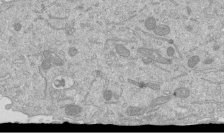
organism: Mouse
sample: ED-1 cell nuclei; centrioles